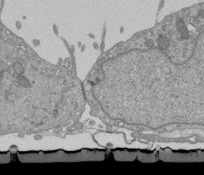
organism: Mouse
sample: ED-1 cell nuclei; centrioles